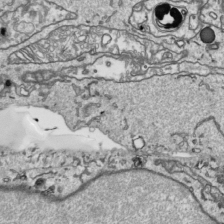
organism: Human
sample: Mitochondria in HCT116 cells